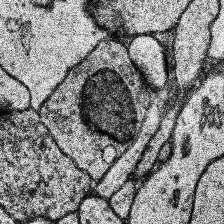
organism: Human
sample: Temporal Lobe